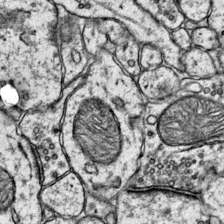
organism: Mouse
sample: Primary visual cortex